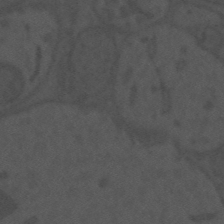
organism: Mouse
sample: Suprachiasmatic nucleus